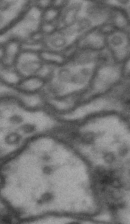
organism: Drosophila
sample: Brain